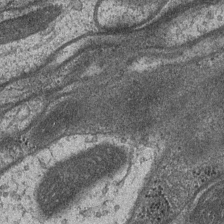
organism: Drosophila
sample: Optic medulla